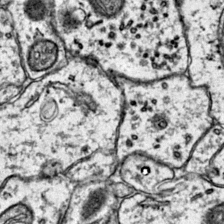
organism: Mouse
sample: Primary visual cortex